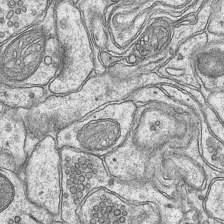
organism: Mouse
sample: CA1 Hippocampus